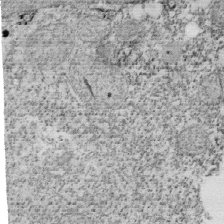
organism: Tetrahymena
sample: Cilia in tetrahymena